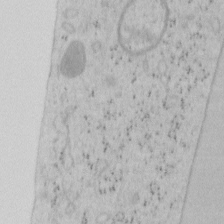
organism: Human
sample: HeLa cells